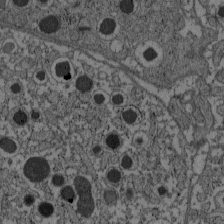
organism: C57BL Mouse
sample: Pancreatic islet